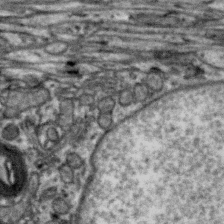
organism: Zebra finch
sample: Brain